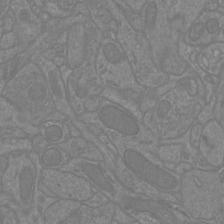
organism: Mouse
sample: Cortical neurons